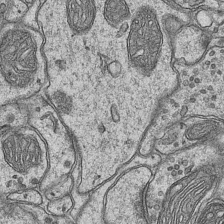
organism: Mouse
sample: CA1 Hippocampus